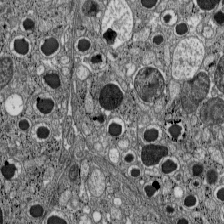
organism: C57BL Mouse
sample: Pancreatic islet